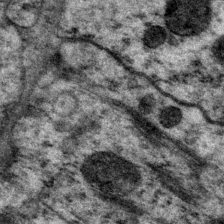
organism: P. pacificus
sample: Pharynx